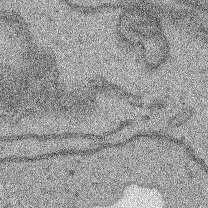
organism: Human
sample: HeLa cells